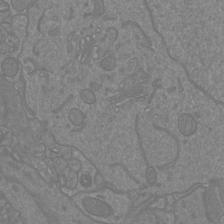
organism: Mouse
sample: Cortical neurons